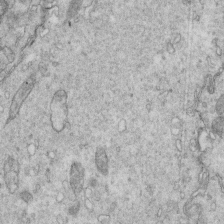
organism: Mouse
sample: Multiciliated cells